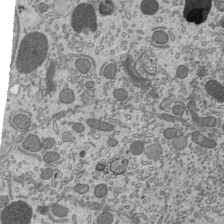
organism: Mouse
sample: Mouse epididymis efferent ductule cilia